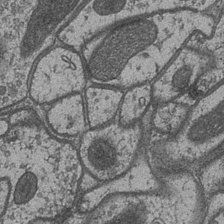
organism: Drosophila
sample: Optic medulla